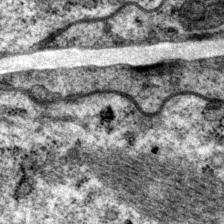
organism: P. pacificus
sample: Pharynx